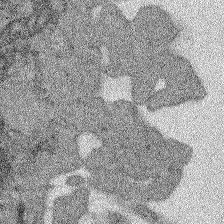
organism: Human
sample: HeLa cells